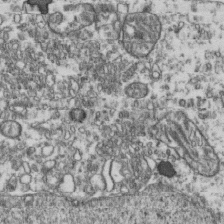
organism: Human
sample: Activated Jurkat CD4+ T cells